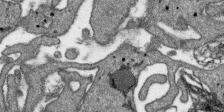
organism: Human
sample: Lung epithelial cells, uninfected (mock) control